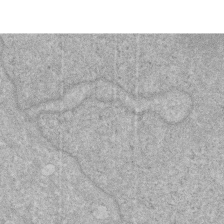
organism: Human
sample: HIV infected U937 cells